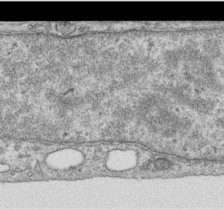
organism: Human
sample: Centriole in RPE cells